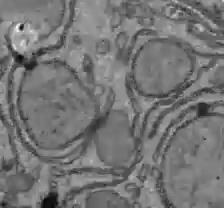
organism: C57BL Mouse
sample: Liver